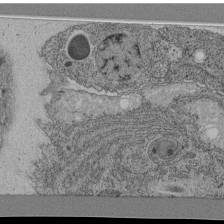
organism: C. elegans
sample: C. elegans pharynx